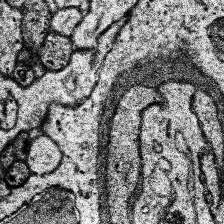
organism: Human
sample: Temporal Lobe